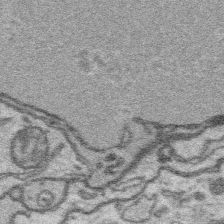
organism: Platynereis dumerilii